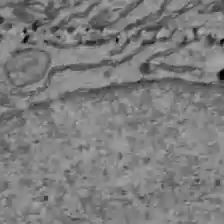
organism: C57BL Mouse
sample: Liver